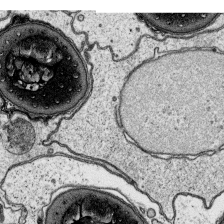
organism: Platynereis dumerilii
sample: Parapodia